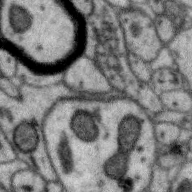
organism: Zebra finch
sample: Brain